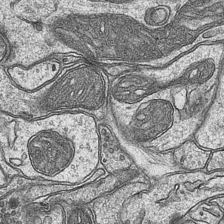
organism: Mouse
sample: CA1 Hippocampus